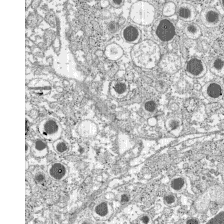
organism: C57BL Mouse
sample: Pancreatic islet